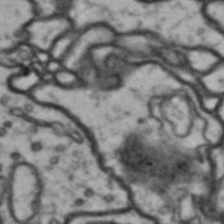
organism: Drosophila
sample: Brain